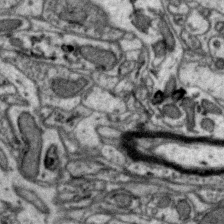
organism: Zebra finch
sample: Brain